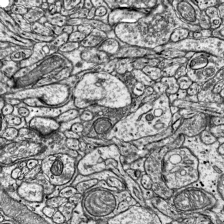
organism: Mouse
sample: Visual Cortex